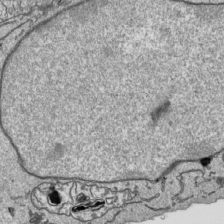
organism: Human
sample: Mitochondria in HCT116 cells